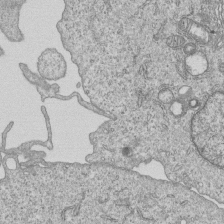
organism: Human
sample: MDA-MB-231 cells